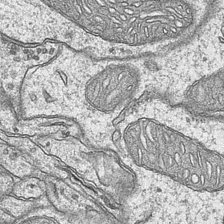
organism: Mouse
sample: CA1 Hippocampus